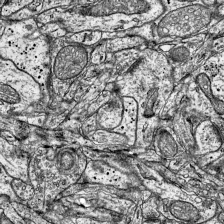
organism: Mouse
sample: Visual Cortex